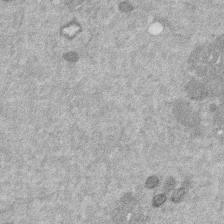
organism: Mouse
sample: Dividing mouse embryo 1 cell stage